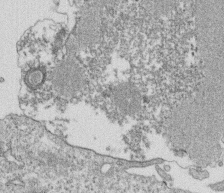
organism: Human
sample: HeLa cell HIV synapse